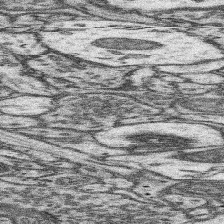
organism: Mouse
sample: Somatosensory cortex neuropil